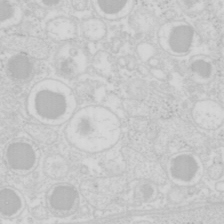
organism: Mouse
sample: Pancreas